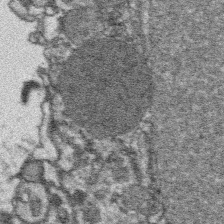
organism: Platynereis dumerilii